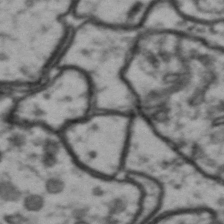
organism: Drosophila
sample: Brain